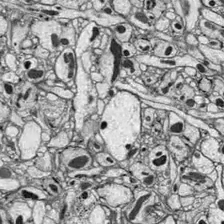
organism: Drosophila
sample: Optic lobe